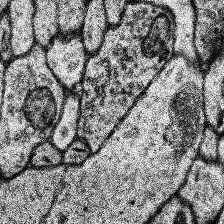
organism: Human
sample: Temporal Lobe